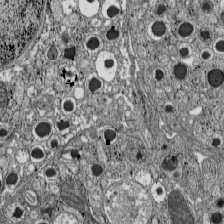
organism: C57BL Mouse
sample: Pancreatic islet